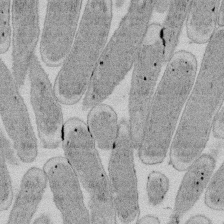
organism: E. coli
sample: Bacterial nucleoid